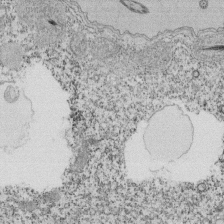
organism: Tetrahymena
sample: Cilia in tetrahymena